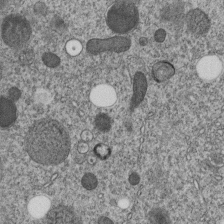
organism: C. elegans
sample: C. elegans embryo early stage